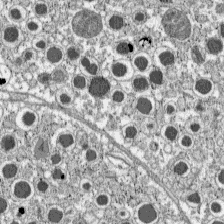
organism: C57BL Mouse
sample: Pancreatic islet